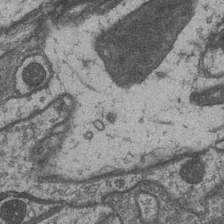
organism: Drosophila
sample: Optic medulla